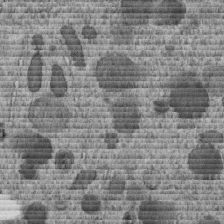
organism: C. elegans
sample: C. elegans embryo early stage